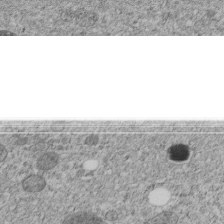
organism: C. elegans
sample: C. elegans embryo early stage